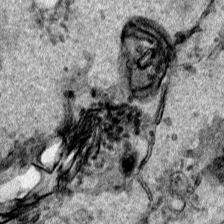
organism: Human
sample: Mitochondria in HCT116 cells